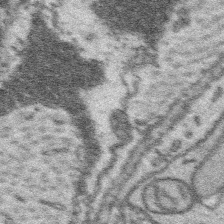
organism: Platynereis dumerilii